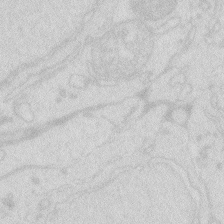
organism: Zebrafish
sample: Macrophage